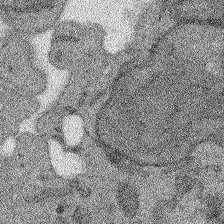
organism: Human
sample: HeLa cells